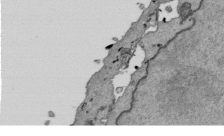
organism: Mouse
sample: ED-1 cell nuclei; centrioles